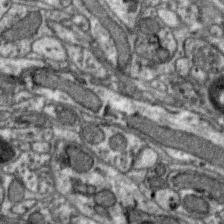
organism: Zebra finch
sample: Brain